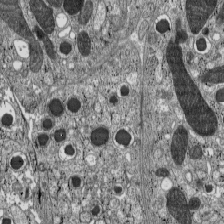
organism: C57BL Mouse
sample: Pancreatic islet